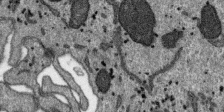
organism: Human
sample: Lung epithelial cells, uninfected (mock) control